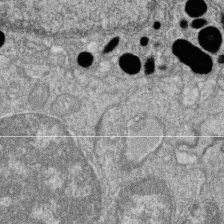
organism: Zebrafish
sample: Cilia; retinal pigment epithelium